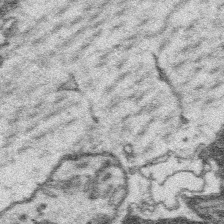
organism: Platynereis dumerilii